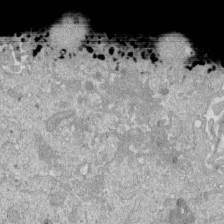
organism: Mouse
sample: ED-1 cell nuclei; centrioles